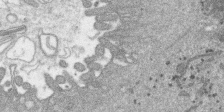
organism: Human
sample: Lung epithelial cells infected with SARS-CoV-2